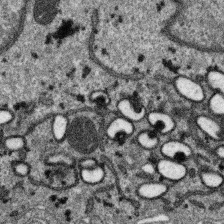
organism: Human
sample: Lung epithelial cells infected with SARS-CoV-2